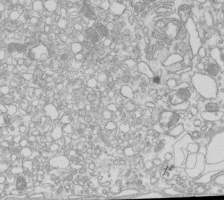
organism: Mouse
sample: Macrophages